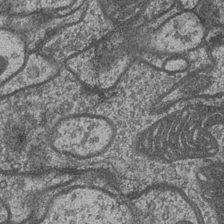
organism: Drosophila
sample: Optic medulla